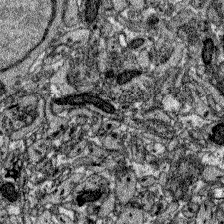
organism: Zebrafish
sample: Larval olfactory bulb